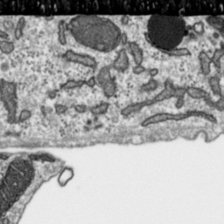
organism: Toxoplasma gondii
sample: Parasites in a vacuole inside a host cell